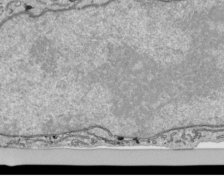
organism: Human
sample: Mitochondria in HCT116 cells